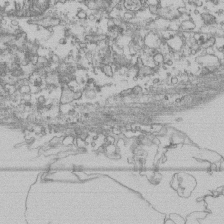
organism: Human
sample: Fibroblast cells